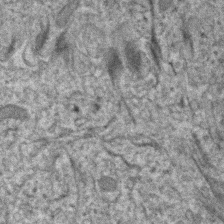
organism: Human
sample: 1205lu cells